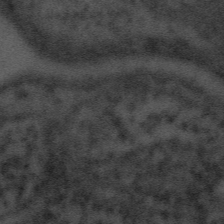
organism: Tuwongella immobilis